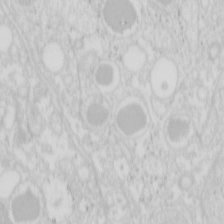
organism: Mouse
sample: Pancreas